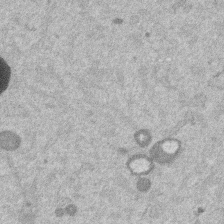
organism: Mouse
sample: Dividing mouse embryo 1 cell stage